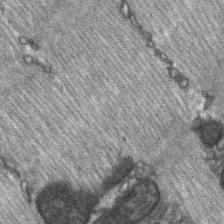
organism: C57BL Mouse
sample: Soleus